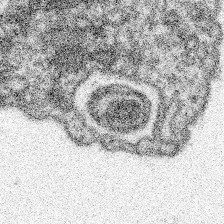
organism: Spongilla lacustris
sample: Neuroid cell